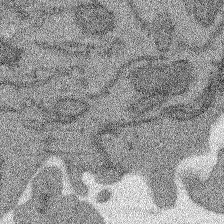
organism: Human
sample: HeLa cells